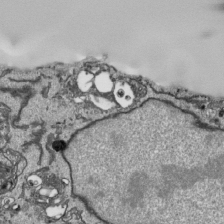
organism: Human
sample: Mitochondria in HCT116 cells